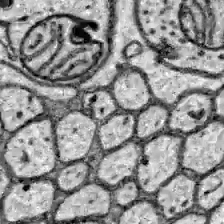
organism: Zebrafish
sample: Brain